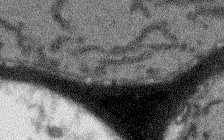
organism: Arabidopsis thaliana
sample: Root tip